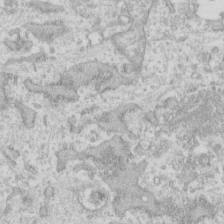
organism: Human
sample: Fibroblast cells